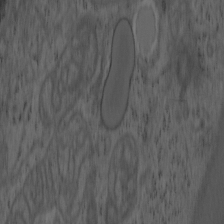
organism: Human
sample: HeLa cells